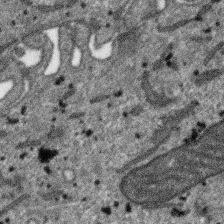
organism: Human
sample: Lung epithelial cells infected with SARS-CoV-2